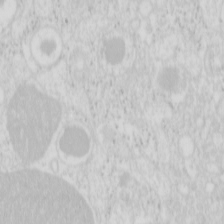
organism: Mouse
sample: Pancreas